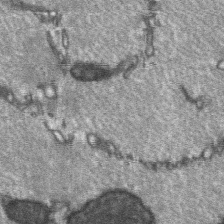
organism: C57BL Mouse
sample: Soleus